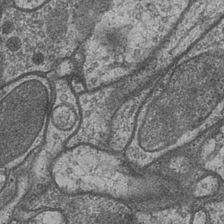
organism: Drosophila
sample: Optic medulla